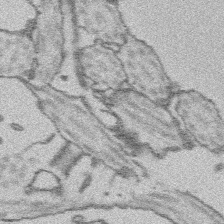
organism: Platynereis dumerilii